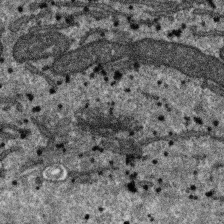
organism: Human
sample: Lung epithelial cells infected with SARS-CoV-2